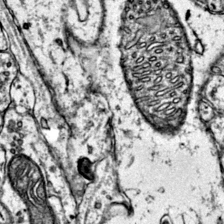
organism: Mouse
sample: Primary visual cortex